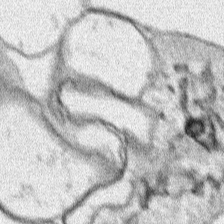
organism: Human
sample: Mitochondria in HCT116 cells